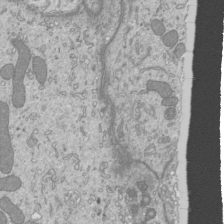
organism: Mouse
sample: Cilia; mouse epididymis